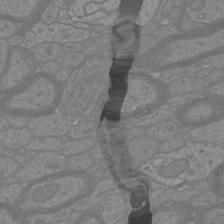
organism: Mouse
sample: Cortical neurons